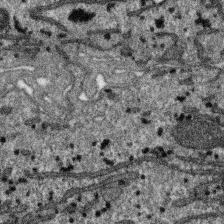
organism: Human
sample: Lung epithelial cells infected with SARS-CoV-2